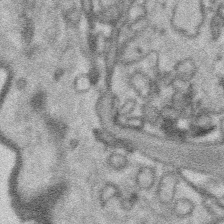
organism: Platynereis dumerilii